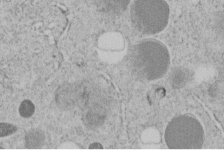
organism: C. elegans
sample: C. elegans embryo early stage